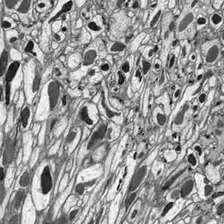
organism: Drosophila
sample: Optic lobe